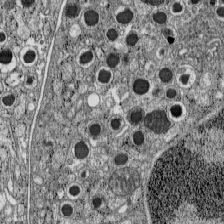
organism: C57BL Mouse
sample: Pancreatic islet